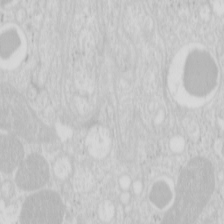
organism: Mouse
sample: Pancreas